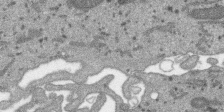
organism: Human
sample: Lung epithelial cells infected with SARS-CoV-2